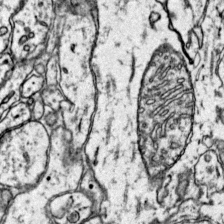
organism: Mouse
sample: Primary visual cortex